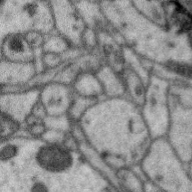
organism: Zebra finch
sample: Brain